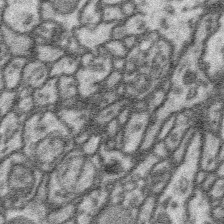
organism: Platynereis dumerilii